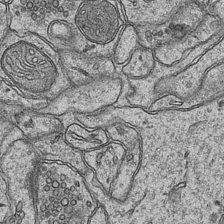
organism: Mouse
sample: CA1 Hippocampus